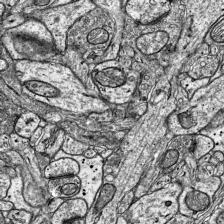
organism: Mouse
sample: Visual Cortex